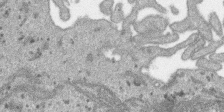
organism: Human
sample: Lung epithelial cells infected with SARS-CoV-2